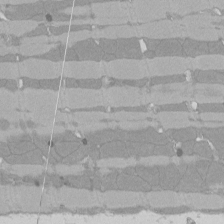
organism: Rat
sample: Left ventricle